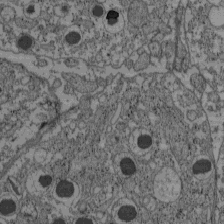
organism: C57BL Mouse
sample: Pancreatic islet